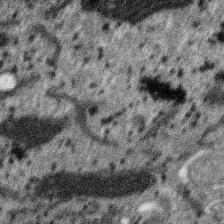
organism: Human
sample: Lung epithelial cells infected with SARS-CoV-2